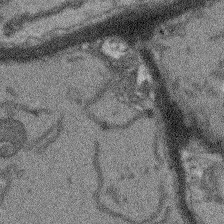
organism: Arabidopsis thaliana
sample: Root tip